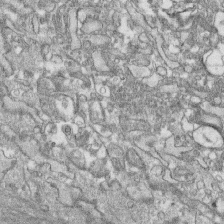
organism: Human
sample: CRL-1474